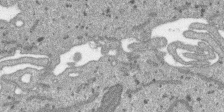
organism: Human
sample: Lung epithelial cells infected with SARS-CoV-2